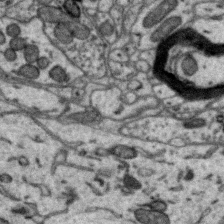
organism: Zebra finch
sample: Brain